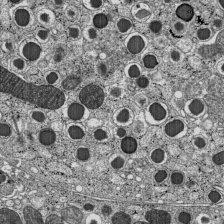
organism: C57BL Mouse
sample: Pancreatic islet